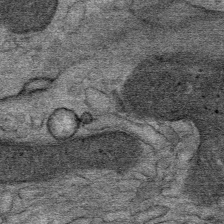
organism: Mouse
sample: Mouse Salivary gland